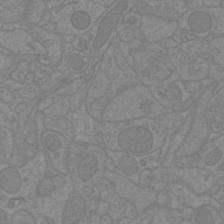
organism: Mouse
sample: Cortical neurons